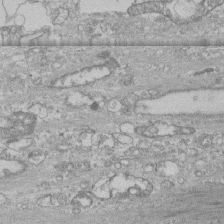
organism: Human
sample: CRL-1474